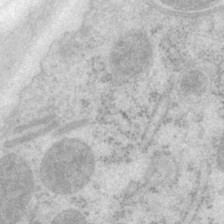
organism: P. pacificus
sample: Pharynx